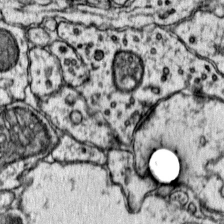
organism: Mouse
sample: Primary visual cortex